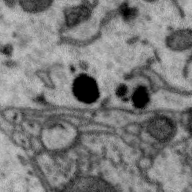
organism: Zebra finch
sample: Brain